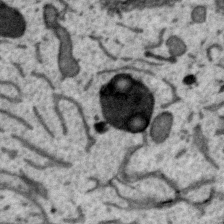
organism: Zebra finch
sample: Brain